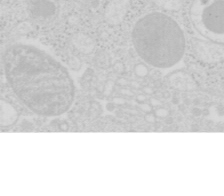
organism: Mouse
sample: Pancreas